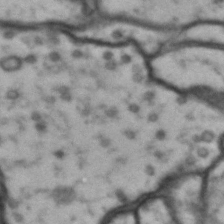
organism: Drosophila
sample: Brain